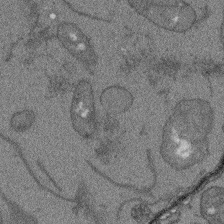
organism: Arabidopsis thaliana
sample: Root tip